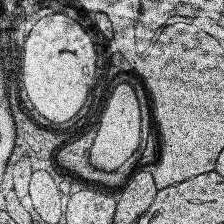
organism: Human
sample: Temporal Lobe